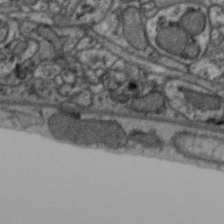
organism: Zebra finch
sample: Brain